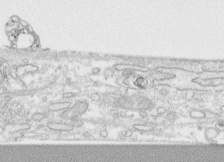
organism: Human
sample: CRL-1474